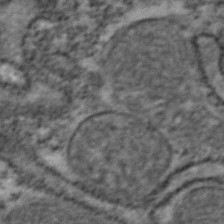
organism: Zebrafish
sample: Zebrafish embryo